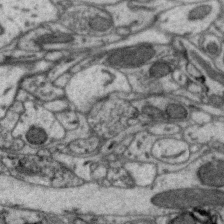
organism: Zebra finch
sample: Brain